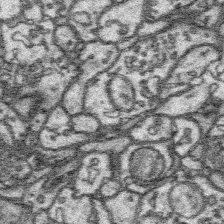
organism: Platynereis dumerilii